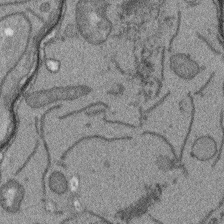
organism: Arabidopsis thaliana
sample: Root tip